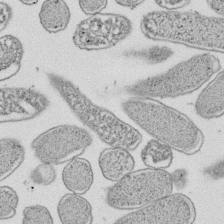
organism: E. coli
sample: Bacterial nucleoid